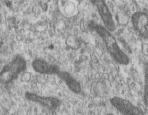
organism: Human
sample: Centriole in RPE cells